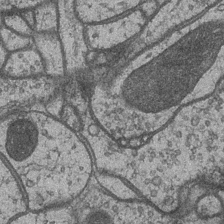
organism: Drosophila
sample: Optic medulla